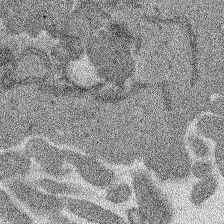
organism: Human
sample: HeLa cells